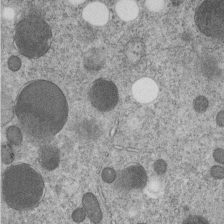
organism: C. elegans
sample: C. elegans embryo early stage